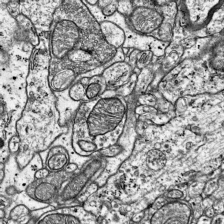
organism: Mouse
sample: Visual Cortex